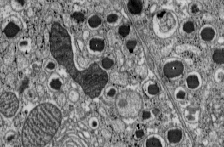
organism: C57BL Mouse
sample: Pancreatic islet